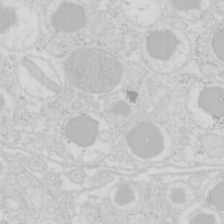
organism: Mouse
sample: Pancreas